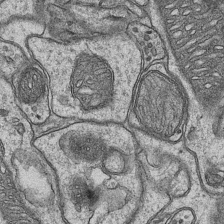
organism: Mouse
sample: CA1 Hippocampus